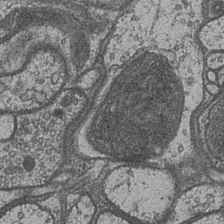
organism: Drosophila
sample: Optic medulla